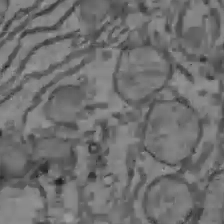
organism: C57BL Mouse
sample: Liver